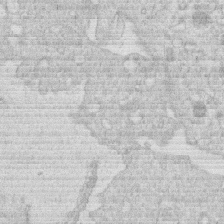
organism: Human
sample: Macrophage cells